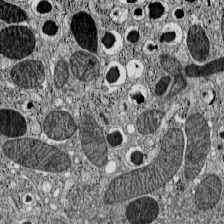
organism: C57BL Mouse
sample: Pancreatic islet